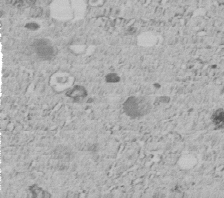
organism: C. elegans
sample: C. elegans embryo early stage